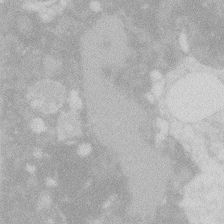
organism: Zebrafish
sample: Macrophage